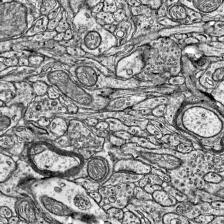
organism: Mouse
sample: Visual Cortex